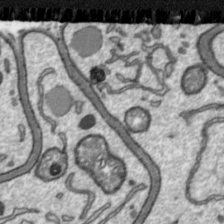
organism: Toxoplasma gondii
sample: Parasites in a vacuole inside a host cell